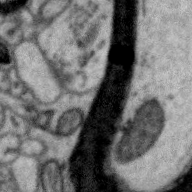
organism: Zebra finch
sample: Brain